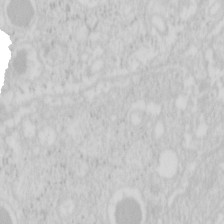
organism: Mouse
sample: Pancreas